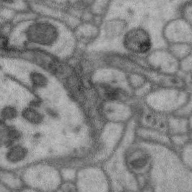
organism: Zebra finch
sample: Brain